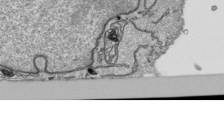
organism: Human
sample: Mitochondria in HCT116 cells